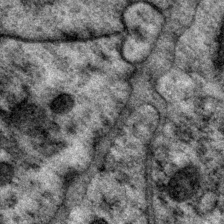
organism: P. pacificus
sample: Pharynx